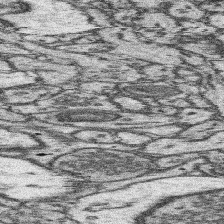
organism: Mouse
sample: Somatosensory cortex neuropil